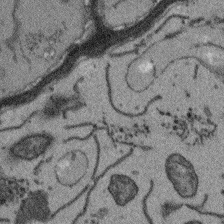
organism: Arabidopsis thaliana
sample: Root tip